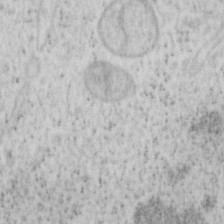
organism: Human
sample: HeLa cells